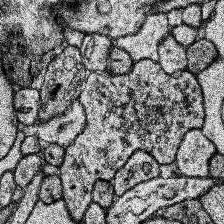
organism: Human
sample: Temporal Lobe